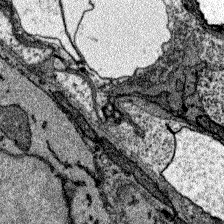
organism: Zebrafish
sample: Larval olfactory bulb